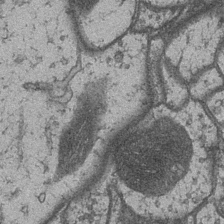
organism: Drosophila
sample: Optic medulla